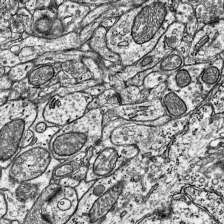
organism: Mouse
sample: Visual Cortex